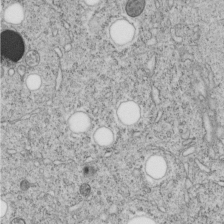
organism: C. elegans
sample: C. elegans embryo early stage